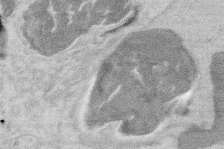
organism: Mouse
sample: T cell stromal cell synapse